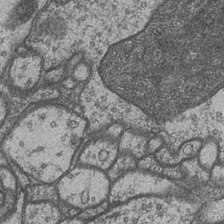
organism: Drosophila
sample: Optic medulla